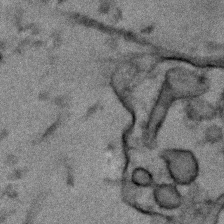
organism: Human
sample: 1205lu cells